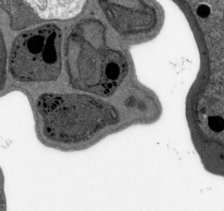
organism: Plasmodium falciparum